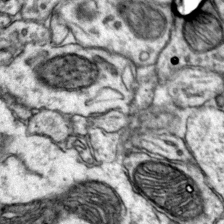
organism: Mouse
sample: Primary visual cortex